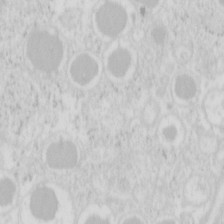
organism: Mouse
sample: Pancreas